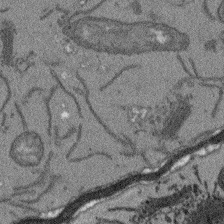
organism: Arabidopsis thaliana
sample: Root tip